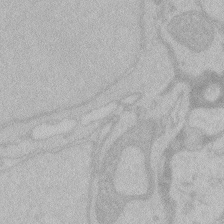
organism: Zebrafish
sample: Macrophage infected with Toxoplasma gondii